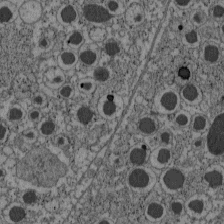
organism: C57BL Mouse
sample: Pancreatic islet